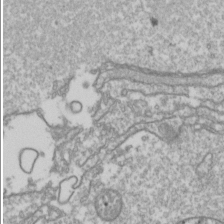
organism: Drosophila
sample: Cell division; meiosis; drosophila spermatocytes